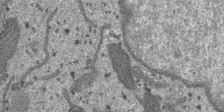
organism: Human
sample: Lung epithelial cells infected with SARS-CoV-2